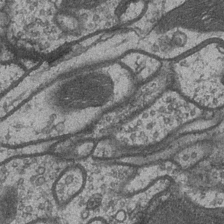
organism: Drosophila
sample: Optic medulla